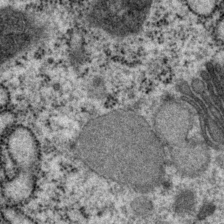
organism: P. pacificus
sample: Pharynx